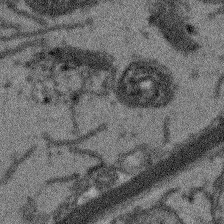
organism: Arabidopsis thaliana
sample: Root tip